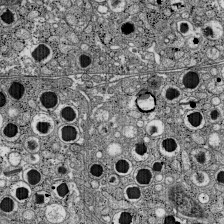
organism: C57BL Mouse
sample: Pancreatic islet